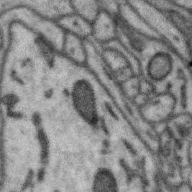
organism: Zebra finch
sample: Brain